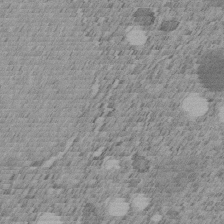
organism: C. elegans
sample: C. elegans embryo early stage